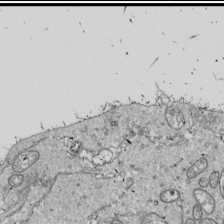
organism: Drosophila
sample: Cell division; meiosis; drosophila spermatocytes